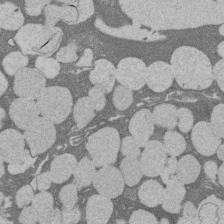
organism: Rat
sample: Salivary granule